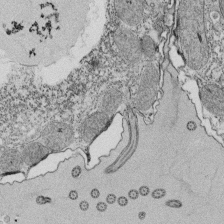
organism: Tetrahymena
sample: Cilia in tetrahymena